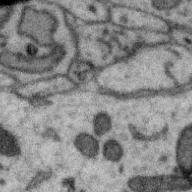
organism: Zebra finch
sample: Brain